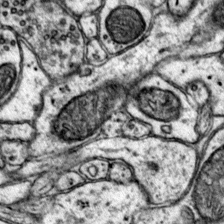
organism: Mouse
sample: Primary visual cortex